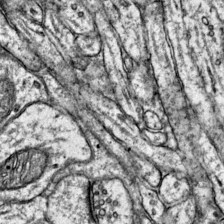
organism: Mouse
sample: Primary visual cortex